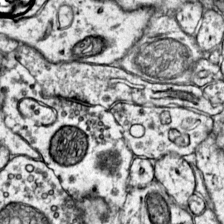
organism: Mouse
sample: Primary visual cortex